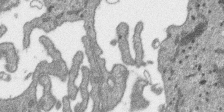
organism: Human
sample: Lung epithelial cells infected with SARS-CoV-2